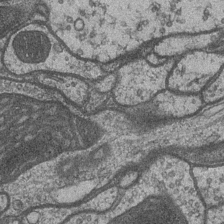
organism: Drosophila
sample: Optic medulla